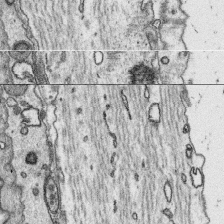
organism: Platynereis dumerilii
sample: Parapodia